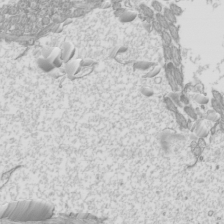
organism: Mouse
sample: Cilia; mouse epididymis